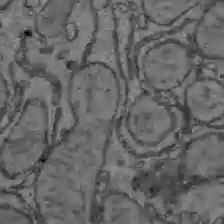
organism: C57BL Mouse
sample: Liver